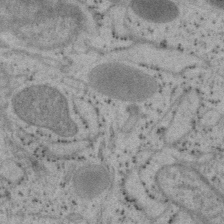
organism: Human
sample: HeLa cells